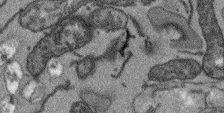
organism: Arabidopsis thaliana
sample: Root tip